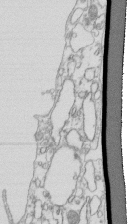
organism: Mouse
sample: Macrophages